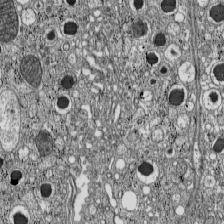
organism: C57BL Mouse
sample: Pancreatic islet